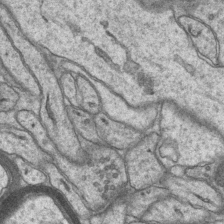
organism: Mouse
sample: CA1 Hippocampus